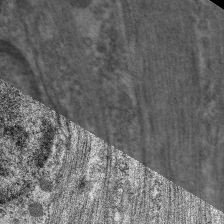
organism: C. elegans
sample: Pharynx